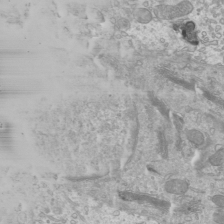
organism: Mouse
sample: Cilia; mouse epididymis